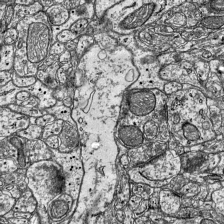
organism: Mouse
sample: Visual Cortex